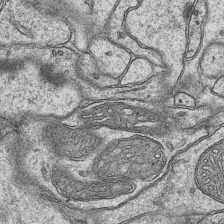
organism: Mouse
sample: CA1 Hippocampus